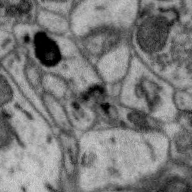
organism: Zebra finch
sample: Brain